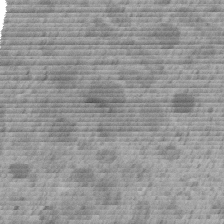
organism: C. elegans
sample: C. elegans embryo early stage